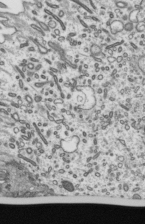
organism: Mouse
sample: Mouse epididymis efferent ductule cilia